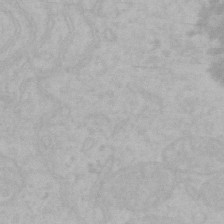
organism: Mouse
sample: Choroid plexus